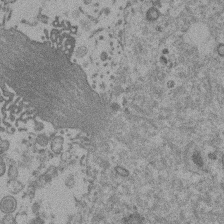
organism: Mouse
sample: Dividing mouse embryo 1 cell stage